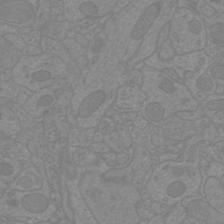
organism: Mouse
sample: Cortical neurons